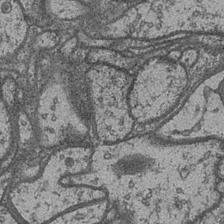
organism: Drosophila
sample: Optic medulla